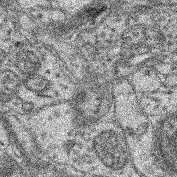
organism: Mouse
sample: Retina